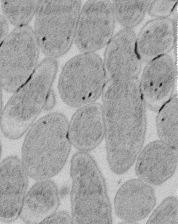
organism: E. coli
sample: Bacterial nucleoid